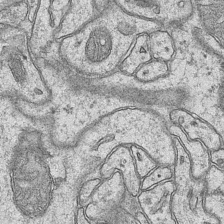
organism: Mouse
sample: CA1 Hippocampus